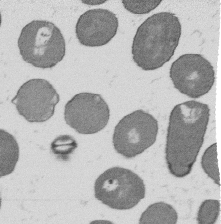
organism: B. subtilis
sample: Bacterial spore